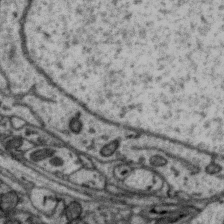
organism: Zebra finch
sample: Brain